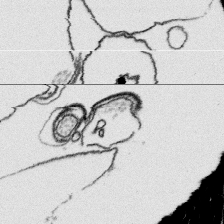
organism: Platynereis dumerilii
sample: Parapodia